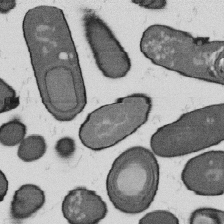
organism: B. subtilis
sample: Bacterial spore